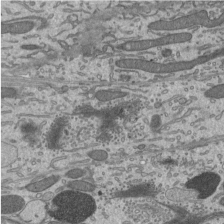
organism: Mouse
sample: Mouse epididymis efferent ductule cilia